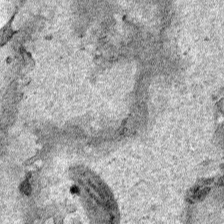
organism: Human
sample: Mitochondria in HCT116 cells